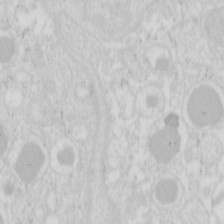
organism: Mouse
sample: Pancreas